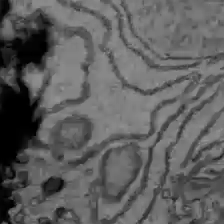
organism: C57BL Mouse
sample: Liver